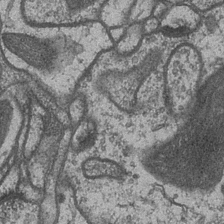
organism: Drosophila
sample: Optic medulla